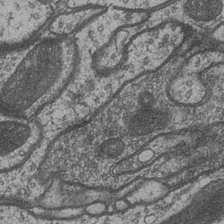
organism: Drosophila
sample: Optic medulla